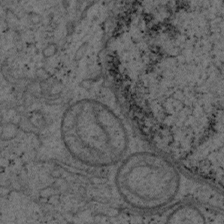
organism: Human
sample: HeLa cells